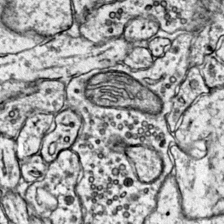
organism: Mouse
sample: Primary visual cortex